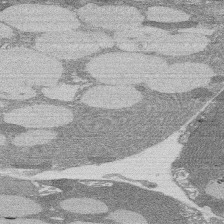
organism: Rat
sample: Salivary granule